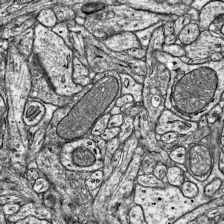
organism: Mouse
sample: Visual Cortex